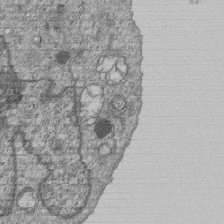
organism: Human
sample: MDA-MB-231 cells